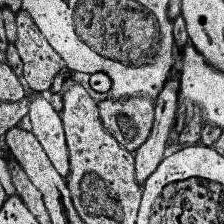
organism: Human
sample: Temporal Lobe